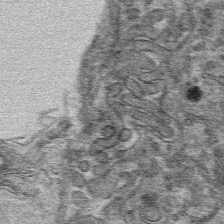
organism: Mouse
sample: Mouse hepatocytes